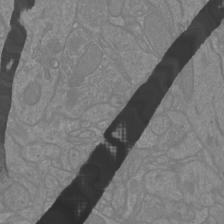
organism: Mouse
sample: Cortical neurons